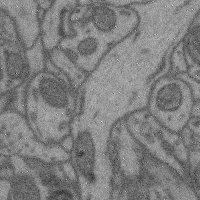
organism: Mouse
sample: Cerebral cortex